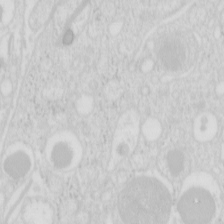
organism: Mouse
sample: Pancreas